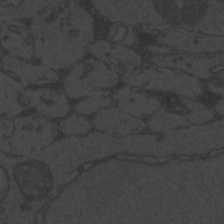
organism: Zebrafish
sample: Macrophage infected with Toxoplasma gondii